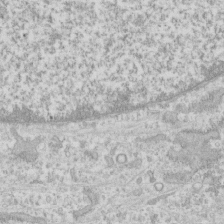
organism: Human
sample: CRL-1474